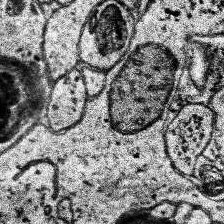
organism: Human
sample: Temporal Lobe